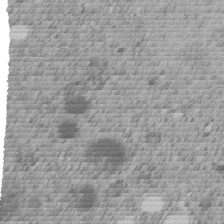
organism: C. elegans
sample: C. elegans embryo early stage